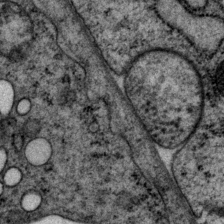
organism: P. pacificus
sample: Pharynx